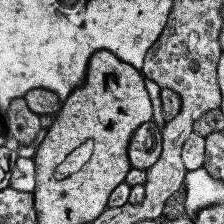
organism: Human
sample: Temporal Lobe